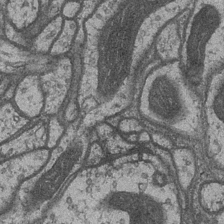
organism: Drosophila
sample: Optic medulla